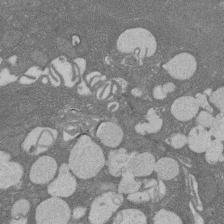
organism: Rat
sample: Salivary granule